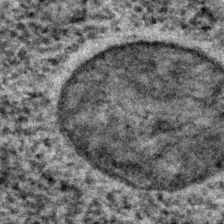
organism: C. elegans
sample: C. elegans embryo